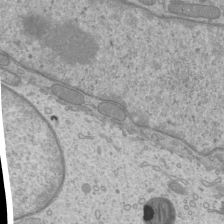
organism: Mouse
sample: Cilia; mouse epididymis